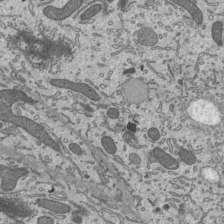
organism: Mouse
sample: Mouse epididymis efferent ductule cilia